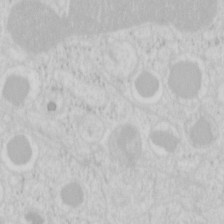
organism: Mouse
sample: Pancreas